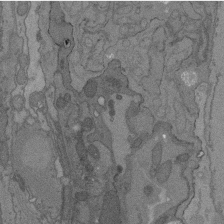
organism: C. elegans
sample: AFD neurons C. elegans